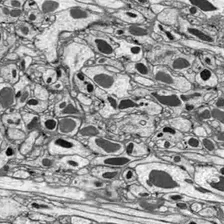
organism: Drosophila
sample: Optic lobe